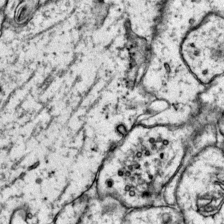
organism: Mouse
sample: Primary visual cortex